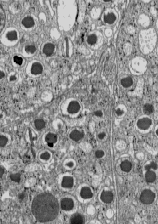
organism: C57BL Mouse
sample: Pancreatic islet